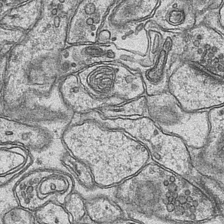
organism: Mouse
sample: CA1 Hippocampus